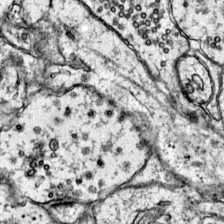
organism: Mouse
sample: Primary visual cortex